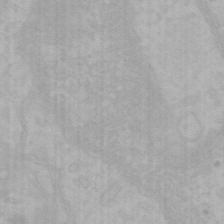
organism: Mouse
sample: Choroid plexus